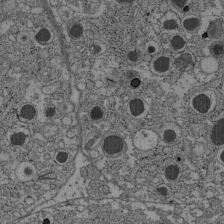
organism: C57BL Mouse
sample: Pancreatic islet